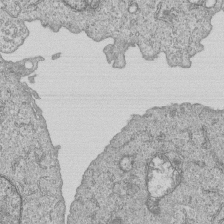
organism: Human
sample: MDA-MB-231 cells